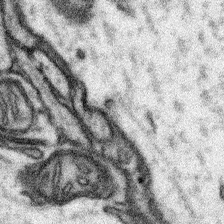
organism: Mouse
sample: Somatosensory cortex neuropil